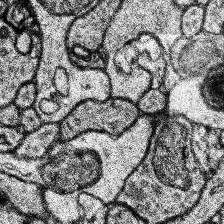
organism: Human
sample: Temporal Lobe